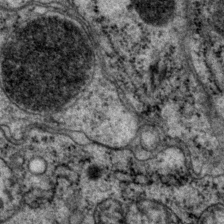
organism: P. pacificus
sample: Pharynx